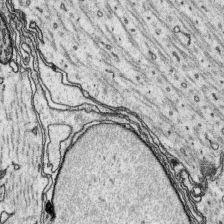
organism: Platynereis dumerilii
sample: Parapodia